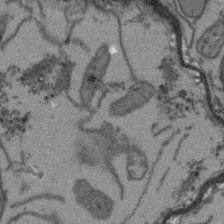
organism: Arabidopsis thaliana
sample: Root tip